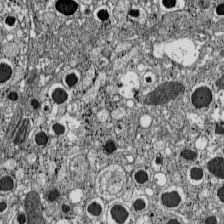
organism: C57BL Mouse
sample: Pancreatic islet